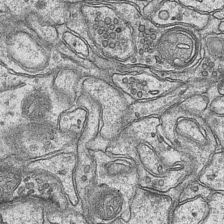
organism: Mouse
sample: CA1 Hippocampus